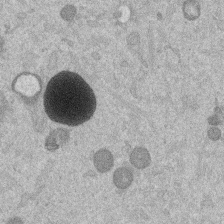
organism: Mouse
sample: Dividing mouse embryo 1 cell stage